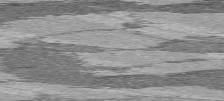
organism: C57BL Mouse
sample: Heart